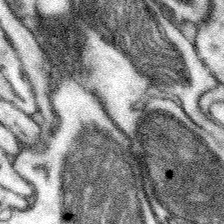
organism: Mouse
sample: Somatosensory cortex neuropil